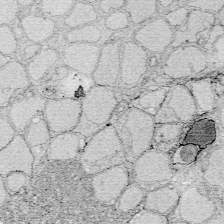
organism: Zebrafish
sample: Whole-Brain